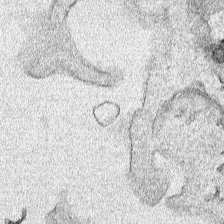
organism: Human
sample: Mitochondria in HCT116 cells